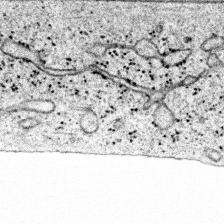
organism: Human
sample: HeLa cells